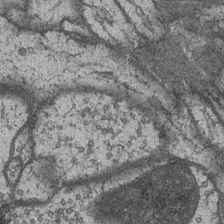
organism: Drosophila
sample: Optic medulla